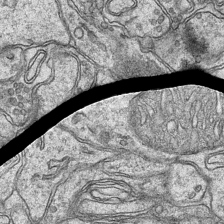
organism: Mouse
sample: CA1 Hippocampus